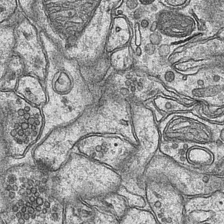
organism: Mouse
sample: CA1 Hippocampus